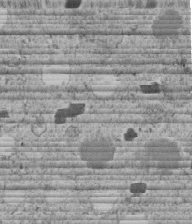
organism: C. elegans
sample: C. elegans embryo early stage